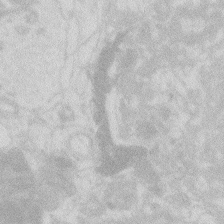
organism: Zebrafish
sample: Macrophage